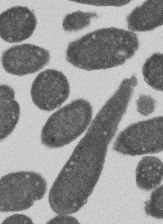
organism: E. coli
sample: Bacterial nucleoid